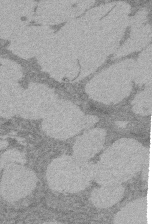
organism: Rat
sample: Salivary granule